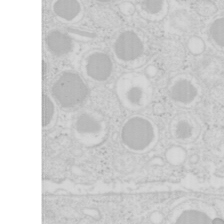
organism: Mouse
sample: Pancreas